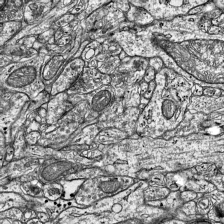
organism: Mouse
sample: Visual Cortex